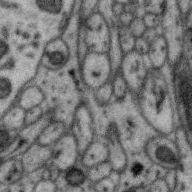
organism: Zebra finch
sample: Brain